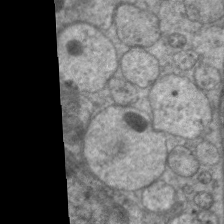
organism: C. elegans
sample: Pharynx